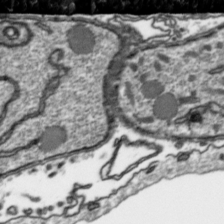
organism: Toxoplasma gondii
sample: Parasites in a vacuole inside a host cell